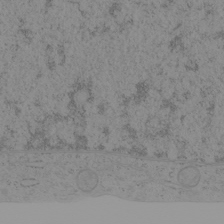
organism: Human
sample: HeLa cells